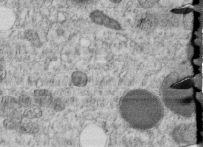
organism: C. elegans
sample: C. elegans embryo early stage